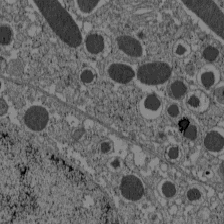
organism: C57BL Mouse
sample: Pancreatic islet